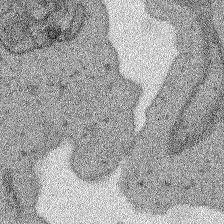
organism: Human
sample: HeLa cells